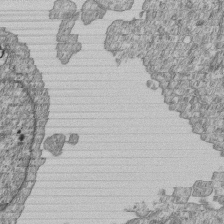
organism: Human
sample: MDA-MB-231 cells